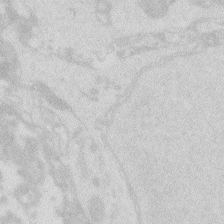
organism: Zebrafish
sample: Macrophage